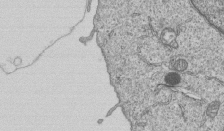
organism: Human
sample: MDA-MB-231 cells